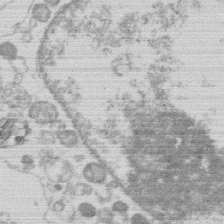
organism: Human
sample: Macrophage cells